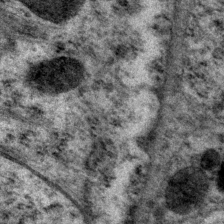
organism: P. pacificus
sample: Pharynx